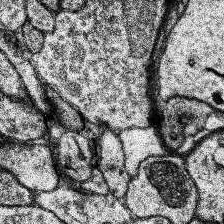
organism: Human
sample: Temporal Lobe